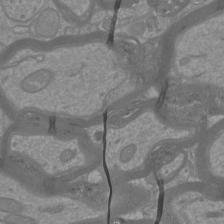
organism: Mouse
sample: Cortical neurons